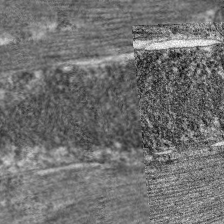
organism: C. elegans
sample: Pharynx